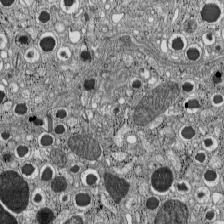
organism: C57BL Mouse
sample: Pancreatic islet